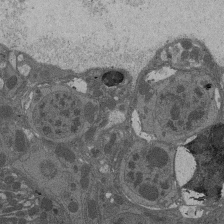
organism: Drosophila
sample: Antenna